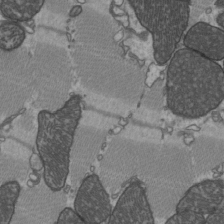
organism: C57BL Mouse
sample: Heart